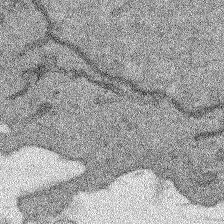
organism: Human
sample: HeLa cells